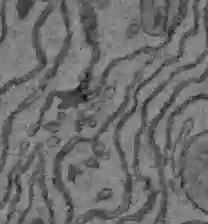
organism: C57BL Mouse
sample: Liver